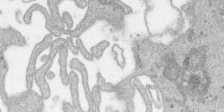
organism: Human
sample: Lung epithelial cells infected with SARS-CoV-2